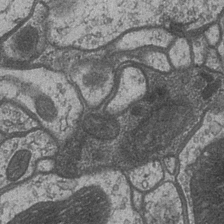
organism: Drosophila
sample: Optic medulla